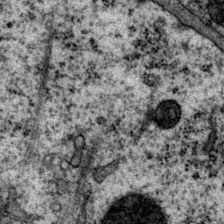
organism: P. pacificus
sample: Pharynx